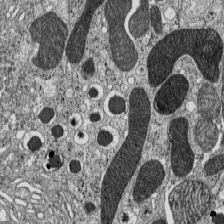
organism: C57BL Mouse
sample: Pancreatic islet